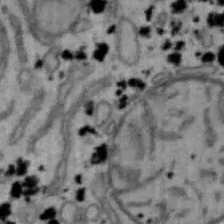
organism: Mouse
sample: Liver